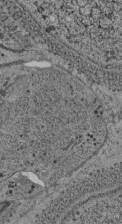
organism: C. elegans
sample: C. elegans pharynx